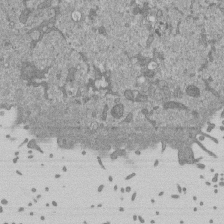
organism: Mouse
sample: ED-1 cell nuclei; centrioles